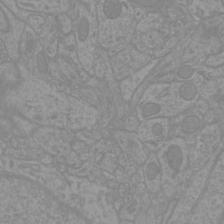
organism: Mouse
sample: Cortical neurons